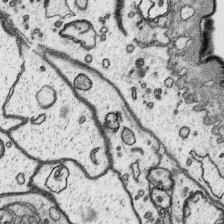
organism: Platynereis dumerilii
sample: Parapodia